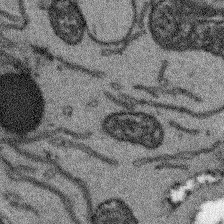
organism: Arabidopsis thaliana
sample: Root tip